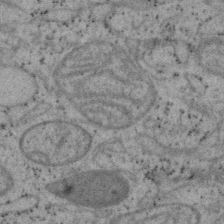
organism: Human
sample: HeLa cells